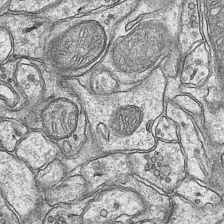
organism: Mouse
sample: CA1 Hippocampus